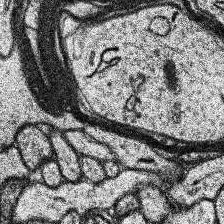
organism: Human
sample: Temporal Lobe